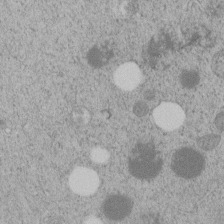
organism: C. elegans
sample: C. elegans embryo early stage